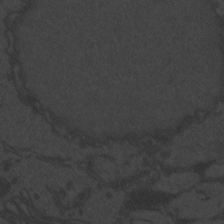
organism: Zebrafish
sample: Macrophage infected with Toxoplasma gondii